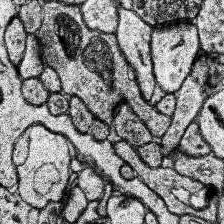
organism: Human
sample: Temporal Lobe